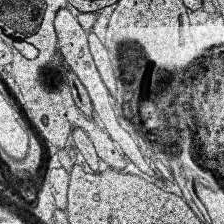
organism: Human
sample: Temporal Lobe